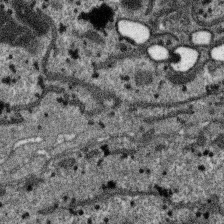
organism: Human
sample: Lung epithelial cells infected with SARS-CoV-2